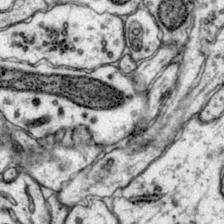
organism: Mouse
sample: Primary visual cortex